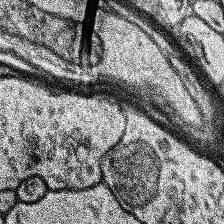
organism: Human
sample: Temporal Lobe